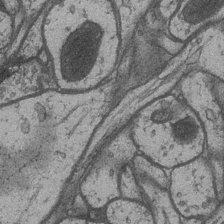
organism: Drosophila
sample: Optic medulla